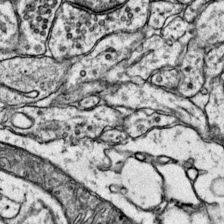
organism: Mouse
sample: Primary visual cortex